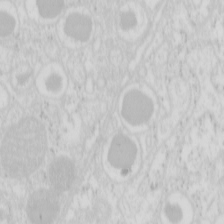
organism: Mouse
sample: Pancreas